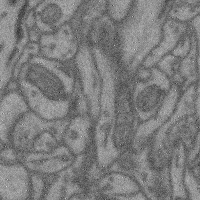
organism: Mouse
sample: Cerebral cortex